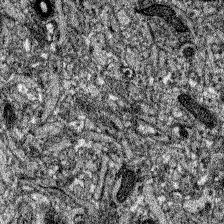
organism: Zebrafish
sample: Larval olfactory bulb